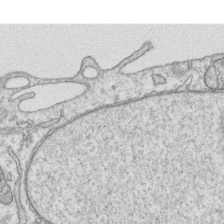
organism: Human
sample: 1205lu cells